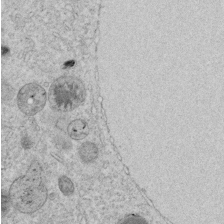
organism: C. elegans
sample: C. elegans embryo early stage